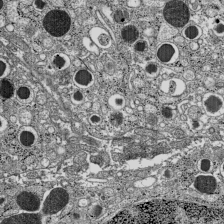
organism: C57BL Mouse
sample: Pancreatic islet